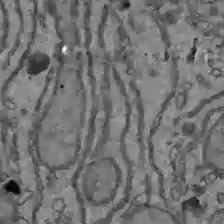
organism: C57BL Mouse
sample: Liver